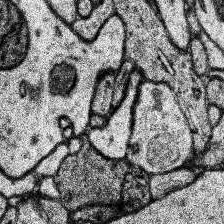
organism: Human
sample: Temporal Lobe